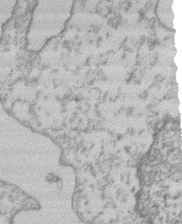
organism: Mouse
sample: T cell stromal cell synapse